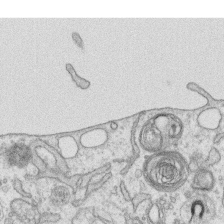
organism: Human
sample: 1205lu cells